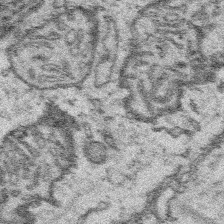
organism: Platynereis dumerilii